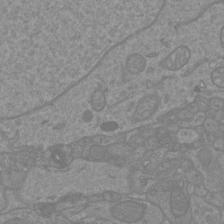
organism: Mouse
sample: Cortical neurons